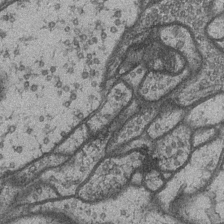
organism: Drosophila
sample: Optic medulla